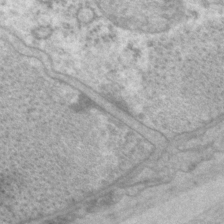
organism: P. pacificus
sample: Pharynx